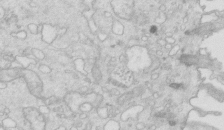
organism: Mouse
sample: Multiciliated cells